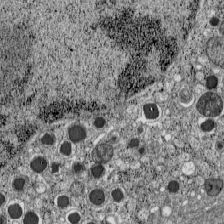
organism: C57BL Mouse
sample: Pancreatic islet